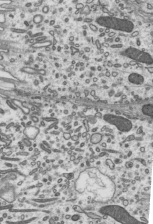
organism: Mouse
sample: Mouse epididymis efferent ductule cilia